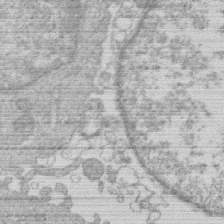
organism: Human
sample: Macrophage cells